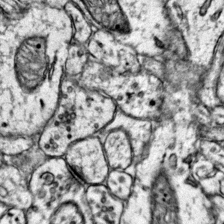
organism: Mouse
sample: Primary visual cortex